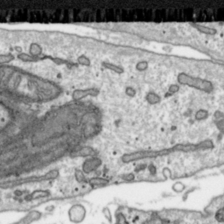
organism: Toxoplasma gondii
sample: Parasites in a vacuole inside a host cell